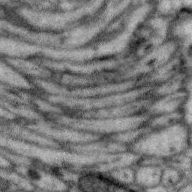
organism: Zebra finch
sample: Brain